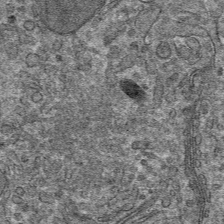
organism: Mouse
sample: Mouse hepatocytes